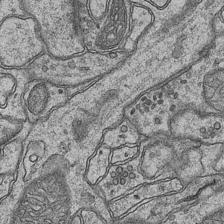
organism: Mouse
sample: CA1 Hippocampus